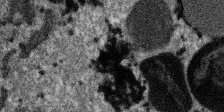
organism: Human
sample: Lung epithelial cells infected with SARS-CoV-2